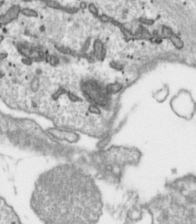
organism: Toxoplasma gondii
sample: Parasites in a vacuole inside a host cell